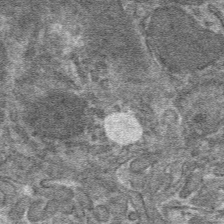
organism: Mouse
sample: Mouse hepatocytes